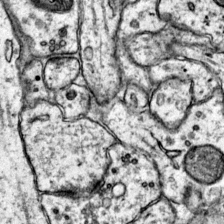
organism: Mouse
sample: Primary visual cortex